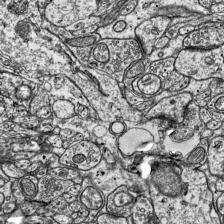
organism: Mouse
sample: Visual Cortex